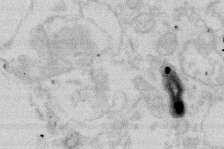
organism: Mouse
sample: T cell stromal cell synapse